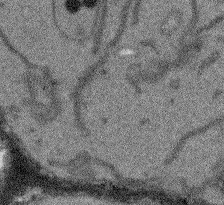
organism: Arabidopsis thaliana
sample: Root tip